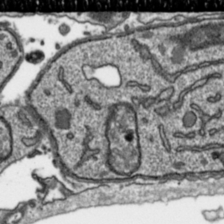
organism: Toxoplasma gondii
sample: Parasites in a vacuole inside a host cell